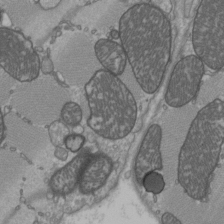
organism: C57BL Mouse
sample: Heart